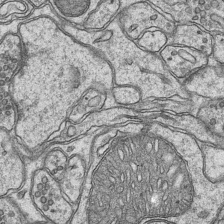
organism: Mouse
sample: CA1 Hippocampus